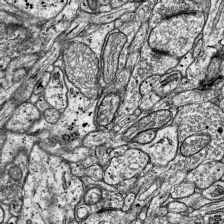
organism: Mouse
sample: Visual Cortex